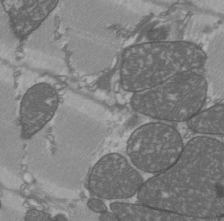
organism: C57BL Mouse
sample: Heart